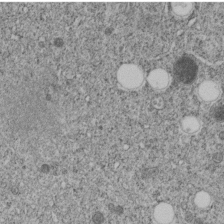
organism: C. elegans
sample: C. elegans embryo early stage